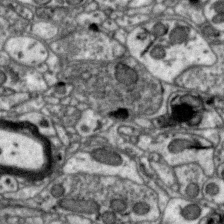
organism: Zebra finch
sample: Brain